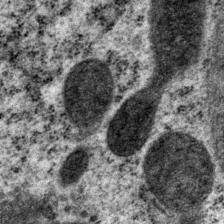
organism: P. pacificus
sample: Pharynx